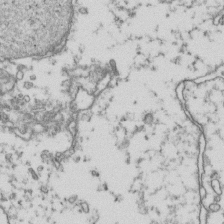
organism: Human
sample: Activated Jurkat CD4+ T cells